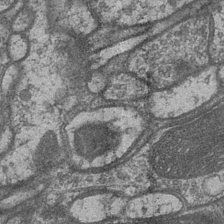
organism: Drosophila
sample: Optic medulla